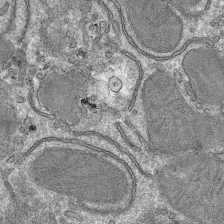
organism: Mouse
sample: Mouse hepatocytes